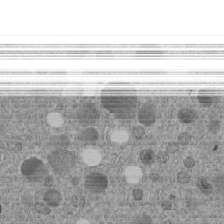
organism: C. elegans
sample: C. elegans embryo early stage